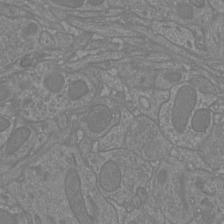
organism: Mouse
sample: Cortical neurons